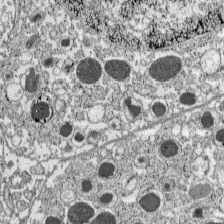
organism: C57BL Mouse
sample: Pancreatic islet